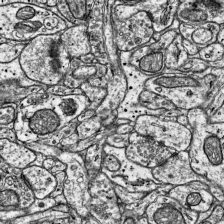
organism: Mouse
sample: Visual Cortex